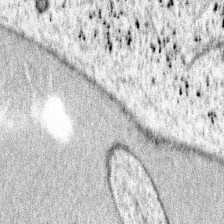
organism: Human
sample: HeLa cells